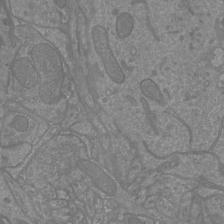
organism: Mouse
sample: Cortical neurons